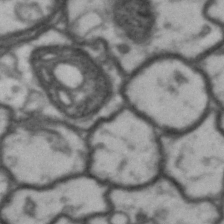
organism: Drosophila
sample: Brain